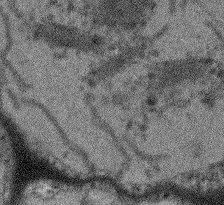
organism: Arabidopsis thaliana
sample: Root tip